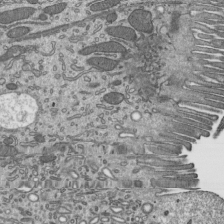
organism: Mouse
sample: Mouse epididymis efferent ductule cilia